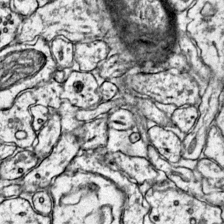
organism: Mouse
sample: Primary visual cortex